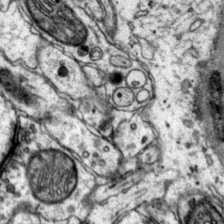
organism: Mouse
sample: Primary visual cortex